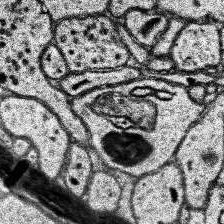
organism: Human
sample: Temporal Lobe